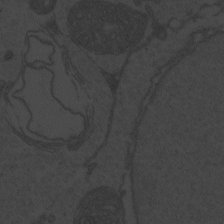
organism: Zebrafish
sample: Macrophage infected with Toxoplasma gondii